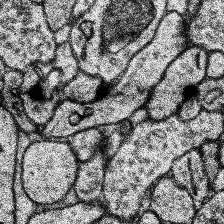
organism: Human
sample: Temporal Lobe